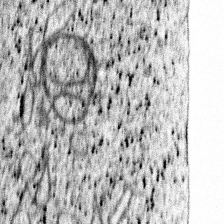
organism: Human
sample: HeLa cells